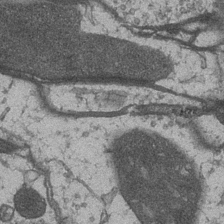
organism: Drosophila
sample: Optic medulla